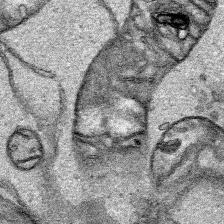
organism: Human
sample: Mitochondria in HCT116 cells